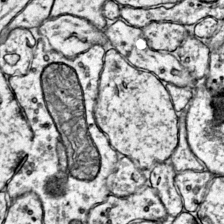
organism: Mouse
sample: Primary visual cortex